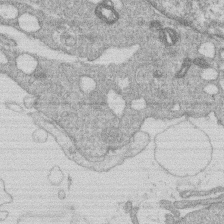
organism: Human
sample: Macrophage cells